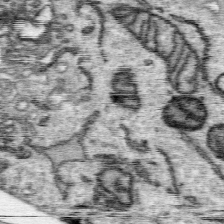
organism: Human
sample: HeLa cells